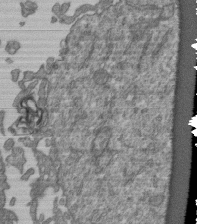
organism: Human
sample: Retinal organoid Rod and Cone cells